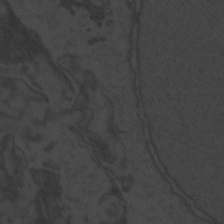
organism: Zebrafish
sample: Macrophage infected with Toxoplasma gondii